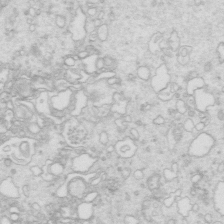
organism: Mouse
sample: Multiciliated cells